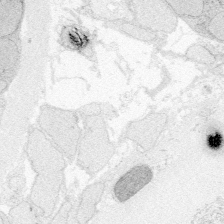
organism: Zebrafish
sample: Whole-Brain